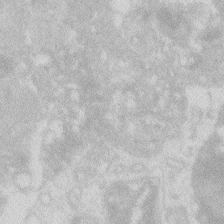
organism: Zebrafish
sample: Macrophage